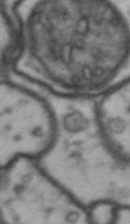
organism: Drosophila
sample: Brain